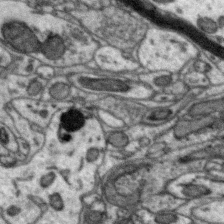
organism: Zebra finch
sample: Brain